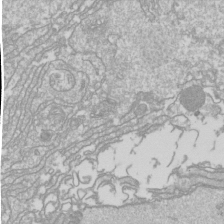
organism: Drosophila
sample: Cell division; meiosis; drosophila spermatocytes